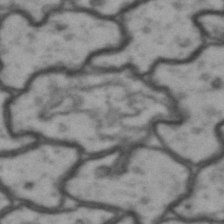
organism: Drosophila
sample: Brain